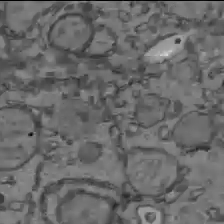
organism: C57BL Mouse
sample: Liver